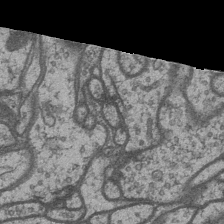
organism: Drosophila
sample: Optic medulla